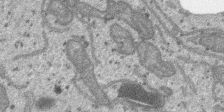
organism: Human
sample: Lung epithelial cells infected with SARS-CoV-2